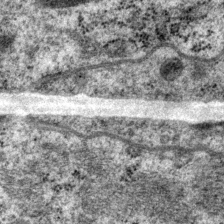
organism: P. pacificus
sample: Pharynx